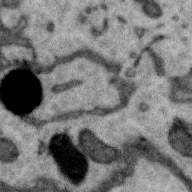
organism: Zebra finch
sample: Brain